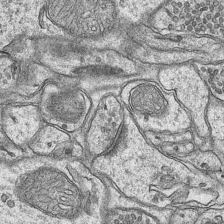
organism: Mouse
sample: CA1 Hippocampus